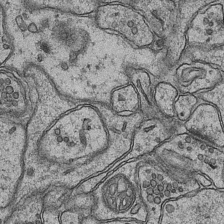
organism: Mouse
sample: CA1 Hippocampus